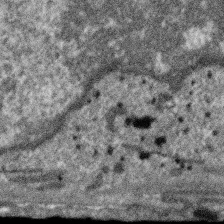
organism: Human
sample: Lung epithelial cells infected with SARS-CoV-2